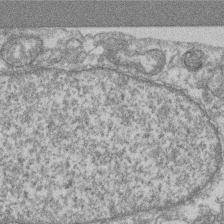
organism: Mouse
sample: T cell stromal cell synapse